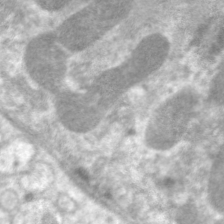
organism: C. elegans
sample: Pharynx